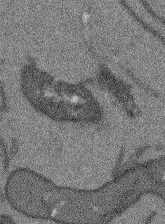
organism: Arabidopsis thaliana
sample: Root tip